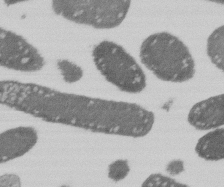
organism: E. coli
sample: Bacterial nucleoid